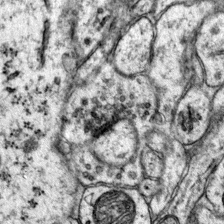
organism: Mouse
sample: Primary visual cortex